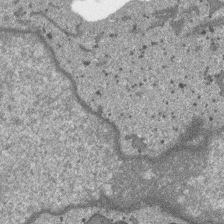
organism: Human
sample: Lung epithelial cells infected with SARS-CoV-2